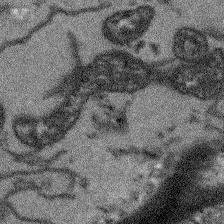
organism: Arabidopsis thaliana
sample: Root tip